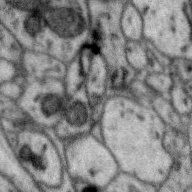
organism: Zebra finch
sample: Brain